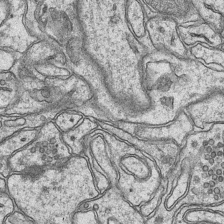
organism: Mouse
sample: CA1 Hippocampus